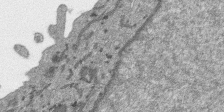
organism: Human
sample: Lung epithelial cells infected with SARS-CoV-2